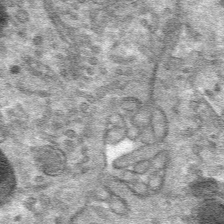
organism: Mouse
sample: Mouse hepatocytes